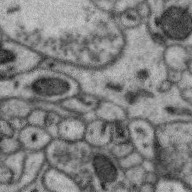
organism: Zebra finch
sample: Brain